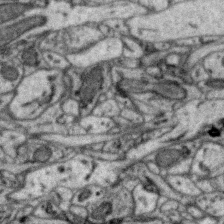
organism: Zebra finch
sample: Brain